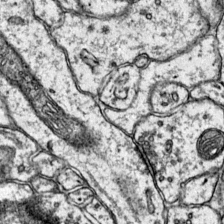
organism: Mouse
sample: Primary visual cortex